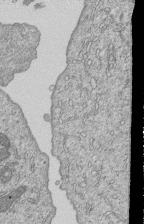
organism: Human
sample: MDA-MB-231 cells